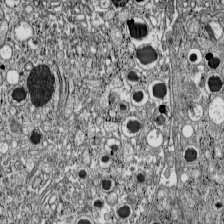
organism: C57BL Mouse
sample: Pancreatic islet